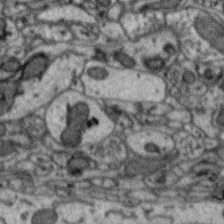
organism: Zebra finch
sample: Brain